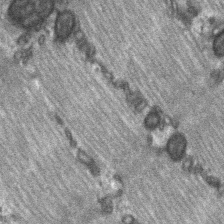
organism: C57BL Mouse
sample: Soleus